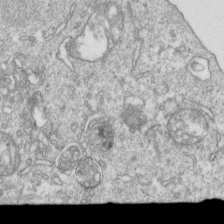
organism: Mouse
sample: Activated OT-1 CD8+ T cells